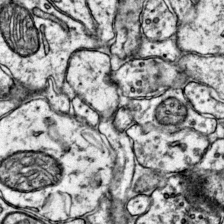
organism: Mouse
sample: Primary visual cortex